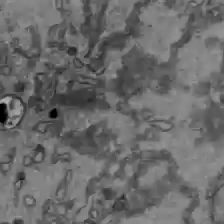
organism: C57BL Mouse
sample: Liver